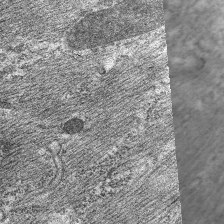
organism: C. elegans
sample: Pharynx